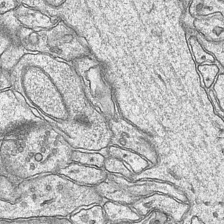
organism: Mouse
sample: CA1 Hippocampus